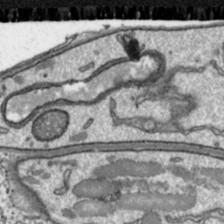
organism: Toxoplasma gondii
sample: Parasites in a vacuole inside a host cell